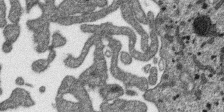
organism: Human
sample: Lung epithelial cells infected with SARS-CoV-2